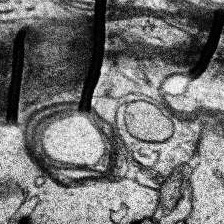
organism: Human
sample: Temporal Lobe